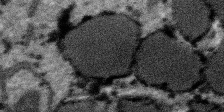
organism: Human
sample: Lung epithelial cells infected with SARS-CoV-2